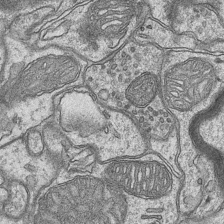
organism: Mouse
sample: CA1 Hippocampus